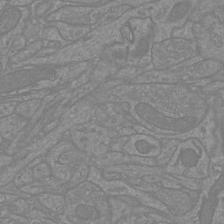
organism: Mouse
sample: Cortical neurons